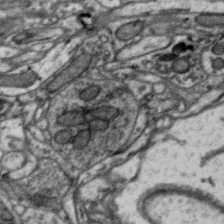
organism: Zebra finch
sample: Brain